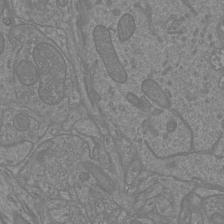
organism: Mouse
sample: Cortical neurons